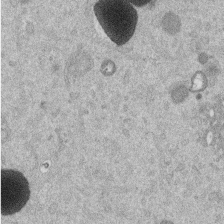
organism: Mouse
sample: Dividing mouse embryo 1 cell stage